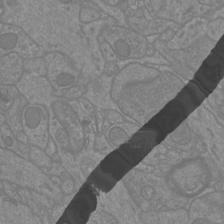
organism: Mouse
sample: Cortical neurons